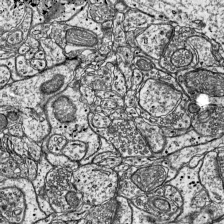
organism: Mouse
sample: Visual Cortex